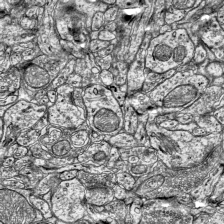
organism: Mouse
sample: Visual Cortex